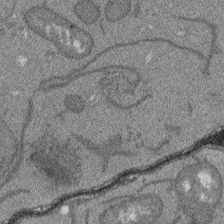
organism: Arabidopsis thaliana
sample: Root tip